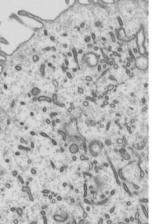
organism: Mouse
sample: Mouse epididymis efferent ductule cilia